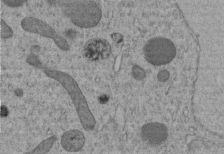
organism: C. elegans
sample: C. elegans embryo early stage